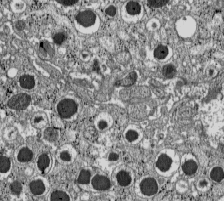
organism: C57BL Mouse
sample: Pancreatic islet